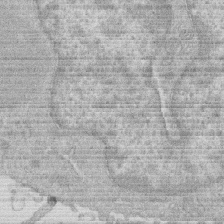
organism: Human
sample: Macrophage cells